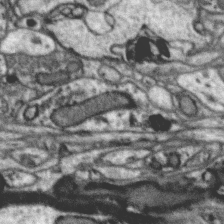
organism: Zebra finch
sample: Brain